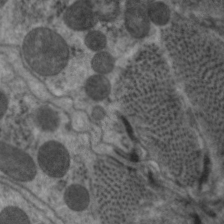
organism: C. elegans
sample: Pharynx